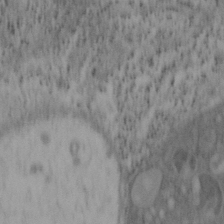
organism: Mouse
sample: OT-I killer T cells with ID8 ovarian cancer cells